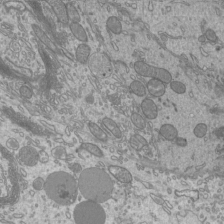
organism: Mouse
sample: Cilia; mouse epididymis